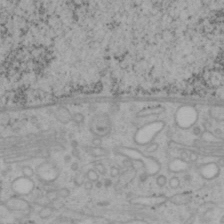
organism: Human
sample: HeLa cells